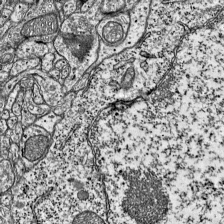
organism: Mouse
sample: Visual Cortex